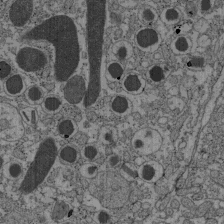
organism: C57BL Mouse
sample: Pancreatic islet